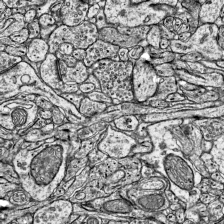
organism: Mouse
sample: Visual Cortex